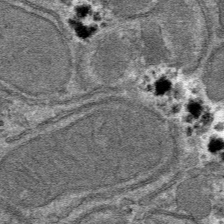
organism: Mouse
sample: Mouse hepatocytes